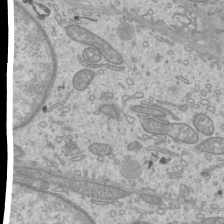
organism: Mouse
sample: Cilia; mouse epididymis